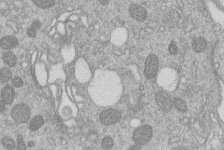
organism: Human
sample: Macrophage cells